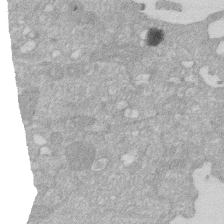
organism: Human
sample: HIV infected U937 cells